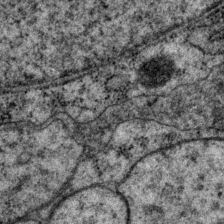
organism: P. pacificus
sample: Pharynx